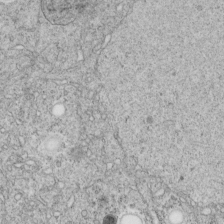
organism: C. elegans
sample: C. elegans embryo early stage